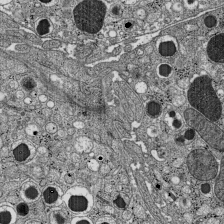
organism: C57BL Mouse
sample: Pancreatic islet